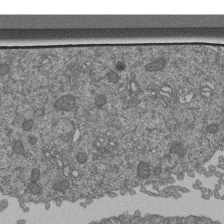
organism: Human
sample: Retinal organoid Rod and Cone cells